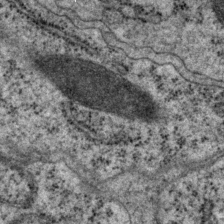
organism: P. pacificus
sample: Pharynx